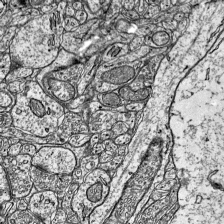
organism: Mouse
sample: Visual Cortex